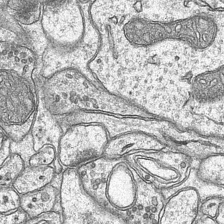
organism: Mouse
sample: CA1 Hippocampus